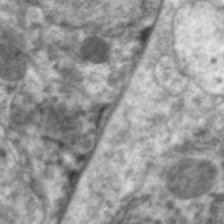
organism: C. elegans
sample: Pharynx